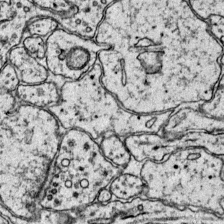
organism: Mouse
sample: Primary visual cortex